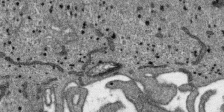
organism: Human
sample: Lung epithelial cells, uninfected (mock) control